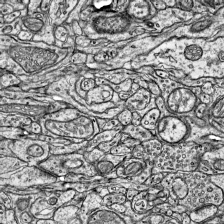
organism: Mouse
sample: Visual Cortex